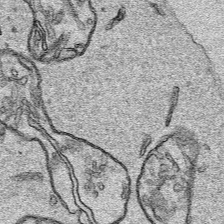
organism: Human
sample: Mitochondria in HCT116 cells